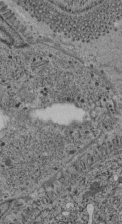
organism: C. elegans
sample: C. elegans pharynx